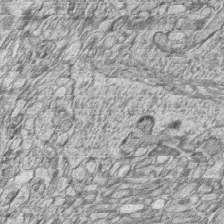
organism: Zebrafish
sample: synaptic ribbons in rod cells and cone cells